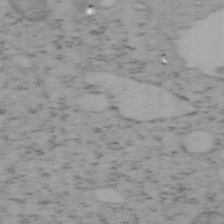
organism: Mouse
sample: OT-I killer T cells with ID8 ovarian cancer cells